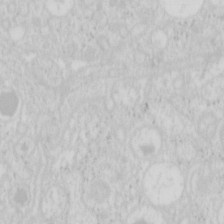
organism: Mouse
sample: Pancreas